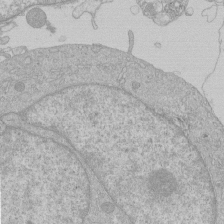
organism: Human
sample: Macrophage cells